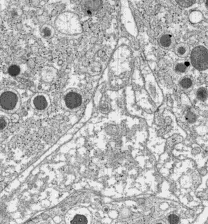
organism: C57BL Mouse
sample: Pancreatic islet